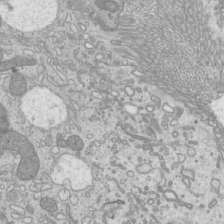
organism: Mouse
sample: Cilia; mouse epididymis